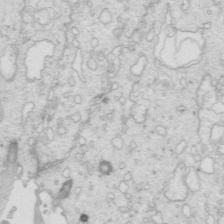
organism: Mouse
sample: Multiciliated cells